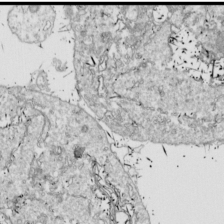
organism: Drosophila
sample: Cell division; meiosis; drosophila spermatocytes